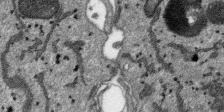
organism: Human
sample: Lung epithelial cells, uninfected (mock) control